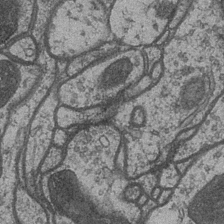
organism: Drosophila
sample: Optic medulla